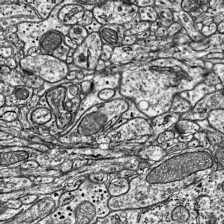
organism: Mouse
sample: Visual Cortex